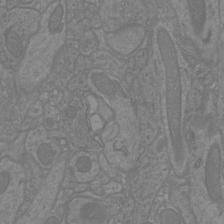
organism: Mouse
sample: Cortical neurons